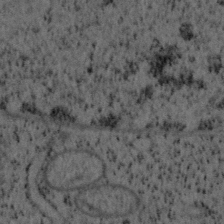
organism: Human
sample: HeLa cells